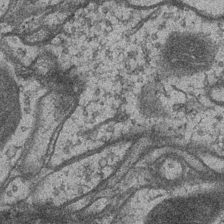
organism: Drosophila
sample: Optic medulla